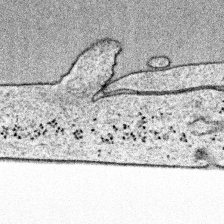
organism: Human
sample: HeLa cells